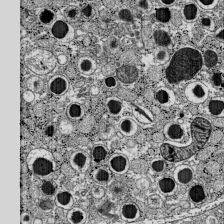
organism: C57BL Mouse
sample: Pancreatic islet